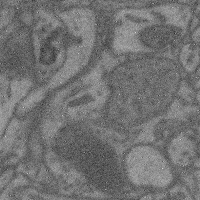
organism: Mouse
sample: Cerebral cortex